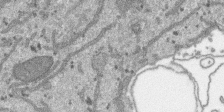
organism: Human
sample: Lung epithelial cells infected with SARS-CoV-2